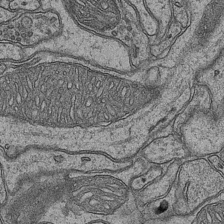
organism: Mouse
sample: CA1 Hippocampus